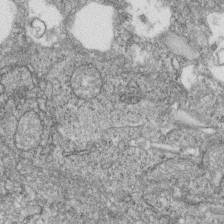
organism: Zebrafish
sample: Cilia; retinal pigment epithelium